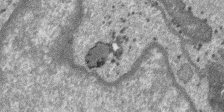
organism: Human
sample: Lung epithelial cells infected with SARS-CoV-2